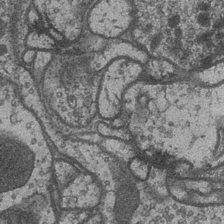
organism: Drosophila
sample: Optic medulla